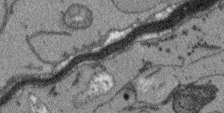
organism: Arabidopsis thaliana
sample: Root tip